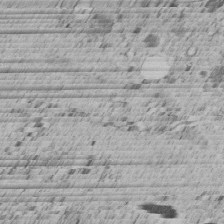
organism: C. elegans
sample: C. elegans embryo early stage